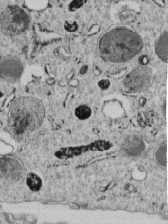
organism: C. elegans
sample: C. elegans embryo early stage